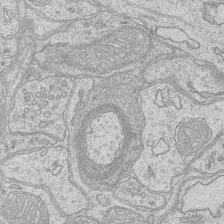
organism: Mouse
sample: CA1 Hippocampus